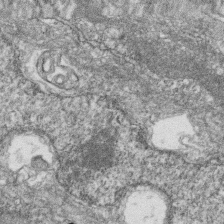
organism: Zebrafish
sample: Cilia; retinal pigment epithelium